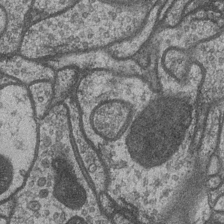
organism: Drosophila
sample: Optic medulla